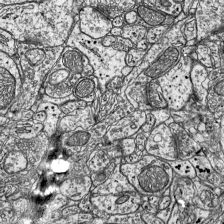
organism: Mouse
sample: Visual Cortex